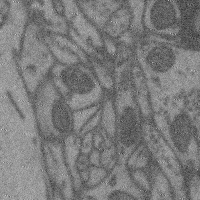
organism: Mouse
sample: Cerebral cortex